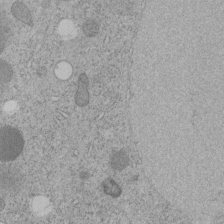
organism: C. elegans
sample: C. elegans embryo early stage